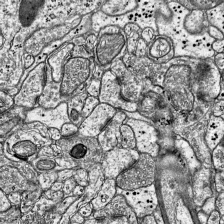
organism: Mouse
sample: Visual Cortex